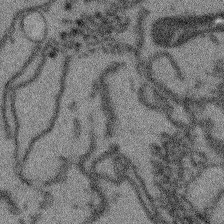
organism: Arabidopsis thaliana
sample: Root tip